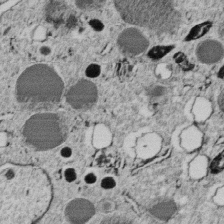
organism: C. elegans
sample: C. elegans embryo early stage